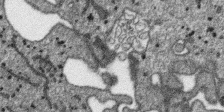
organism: Human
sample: Lung epithelial cells infected with SARS-CoV-2